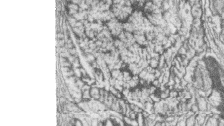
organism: Zebrafish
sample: synaptic ribbons in rod cells and cone cells